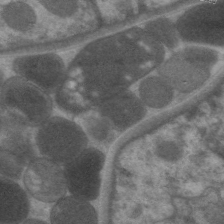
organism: C. elegans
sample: Pharynx